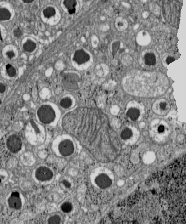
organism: C57BL Mouse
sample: Pancreatic islet